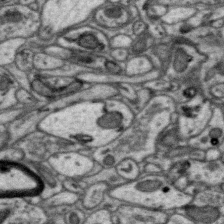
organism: Zebra finch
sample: Brain